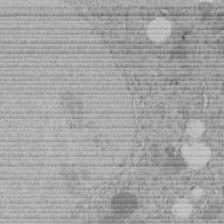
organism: C. elegans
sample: C. elegans embryo early stage